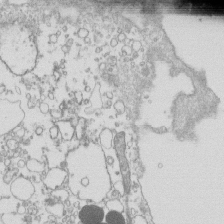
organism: Mouse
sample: Macrophages